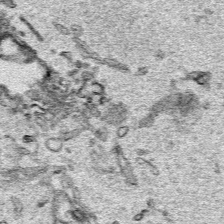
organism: Human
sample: Mitochondria in HCT116 cells